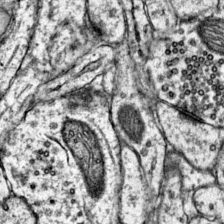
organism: Mouse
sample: Primary visual cortex